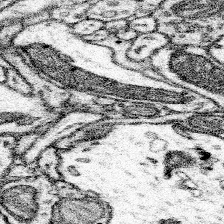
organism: Mouse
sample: Somatosensory cortex neuropil